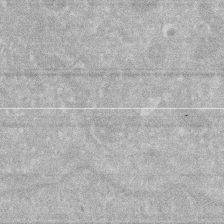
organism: Human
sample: HIV infected U937 cells